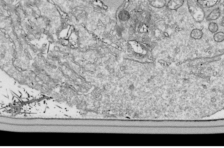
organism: Drosophila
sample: Cell division; meiosis; drosophila spermatocytes